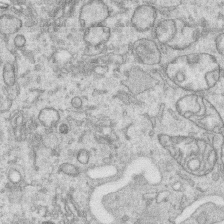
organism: Human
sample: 1205lu cells